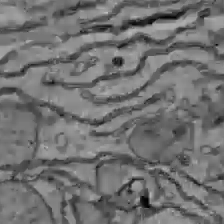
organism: C57BL Mouse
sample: Liver